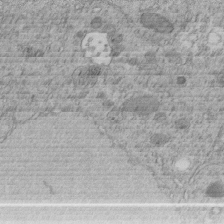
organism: C. elegans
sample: C. elegans embryo early stage